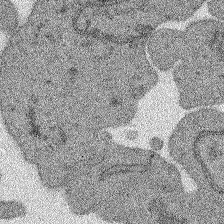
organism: Human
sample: HeLa cells